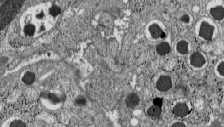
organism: C57BL Mouse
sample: Pancreatic islet